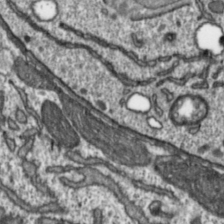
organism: Toxoplasma gondii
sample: Parasites in a vacuole inside a host cell